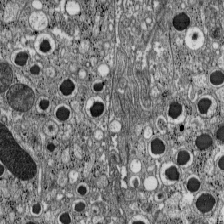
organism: C57BL Mouse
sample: Pancreatic islet